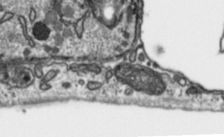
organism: Toxoplasma gondii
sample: Parasites in a vacuole inside a host cell